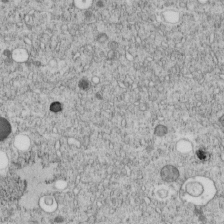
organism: C. elegans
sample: C. elegans embryo early stage